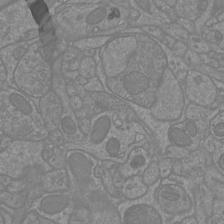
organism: Mouse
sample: Cortical neurons